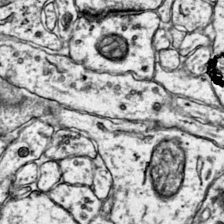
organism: Mouse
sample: Primary visual cortex